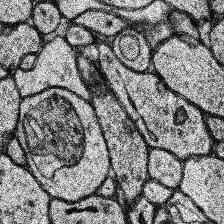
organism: Human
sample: Temporal Lobe